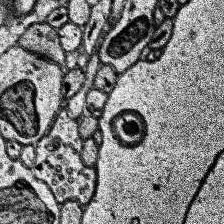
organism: Human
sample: Temporal Lobe